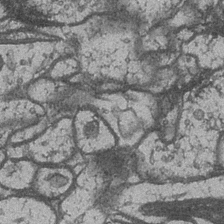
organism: Drosophila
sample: Optic medulla